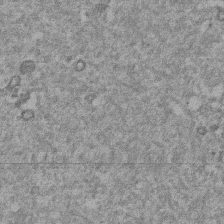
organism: Mouse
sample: Dividing mouse embryo 1 cell stage